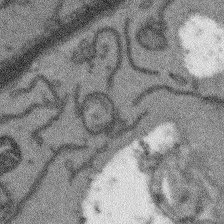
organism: Arabidopsis thaliana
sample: Root tip